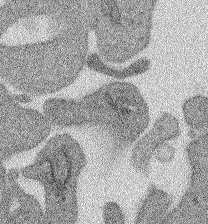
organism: Human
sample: HeLa cells